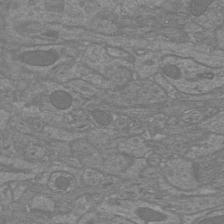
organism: Mouse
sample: Cortical neurons